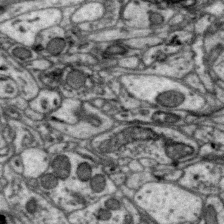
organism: Zebra finch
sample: Brain